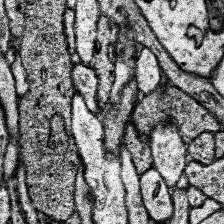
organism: Human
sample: Temporal Lobe